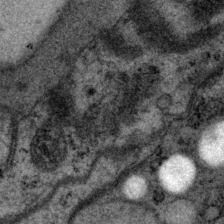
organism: P. pacificus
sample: Pharynx